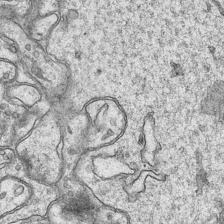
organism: Mouse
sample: CA1 Hippocampus